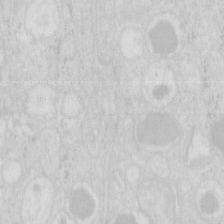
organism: Mouse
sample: Pancreas